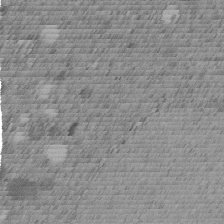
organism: C. elegans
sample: C. elegans embryo early stage